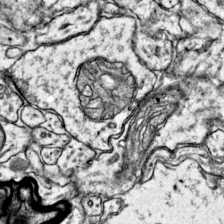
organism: Mouse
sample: Primary visual cortex